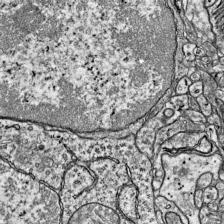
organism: Mouse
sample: Visual Cortex